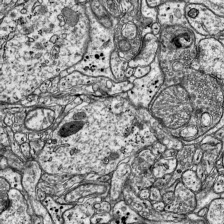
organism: Mouse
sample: Visual Cortex